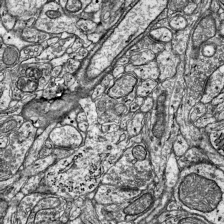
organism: Mouse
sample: Visual Cortex